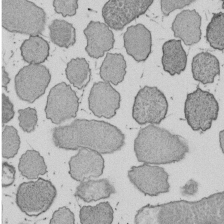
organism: E. coli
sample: Bacterial nucleoid